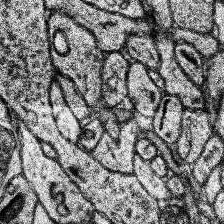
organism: Human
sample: Temporal Lobe